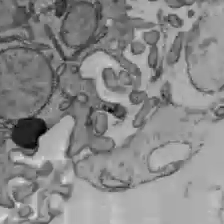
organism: C57BL Mouse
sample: Liver